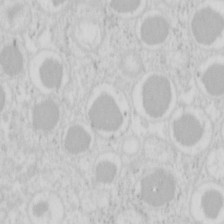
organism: Mouse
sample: Pancreas